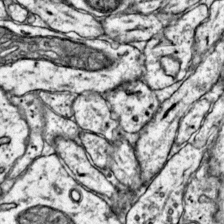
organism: Mouse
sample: Primary visual cortex